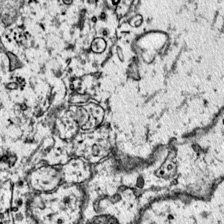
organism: Mouse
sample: Primary visual cortex